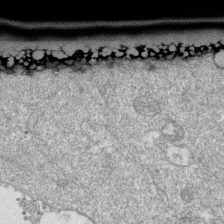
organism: Human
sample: HeLa cell HIV synapse